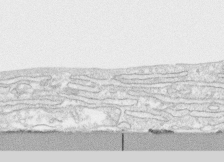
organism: Human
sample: CRL-1474